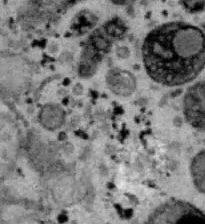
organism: Mouse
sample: Liver from an obese (ob/ob) mouse